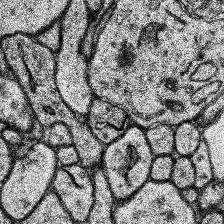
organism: Human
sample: Temporal Lobe